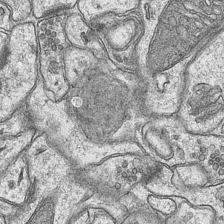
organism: Mouse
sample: CA1 Hippocampus